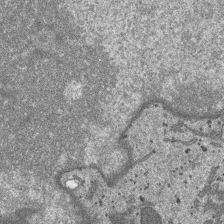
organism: Human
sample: Lung epithelial cells infected with SARS-CoV-2